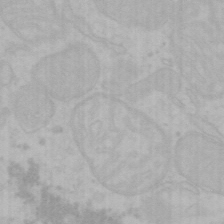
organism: Mouse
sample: Choroid plexus